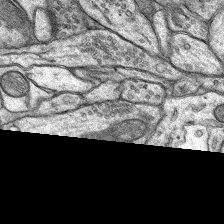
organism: Rat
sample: Hippocampus